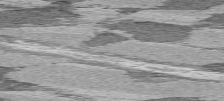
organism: C57BL Mouse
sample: Heart